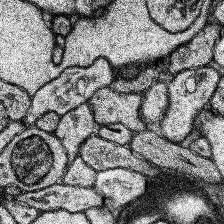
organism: Human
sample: Temporal Lobe